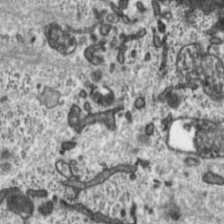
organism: Toxoplasma gondii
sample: Parasites in a vacuole inside a host cell